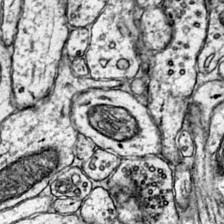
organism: Mouse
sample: Primary visual cortex